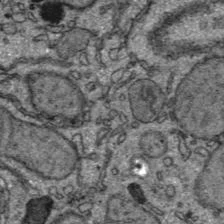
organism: C57BL Mouse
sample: Liver